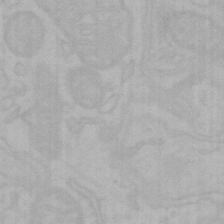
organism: Mouse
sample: Choroid plexus